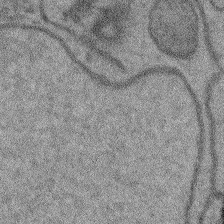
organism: Arabidopsis thaliana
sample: Root tip